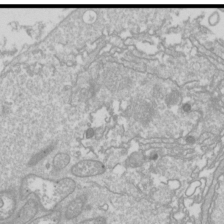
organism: Drosophila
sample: Cell division; meiosis; drosophila spermatocytes